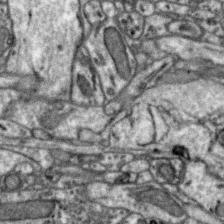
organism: Zebra finch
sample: Brain